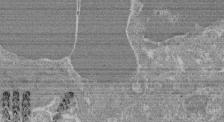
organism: Mouse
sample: Glomerulus